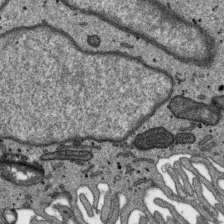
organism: Human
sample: Lung epithelial cells, uninfected (mock) control